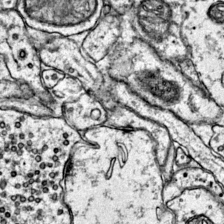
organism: Mouse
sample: Primary visual cortex